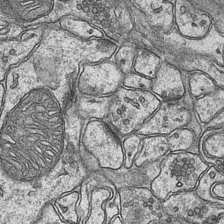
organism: Mouse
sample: CA1 Hippocampus